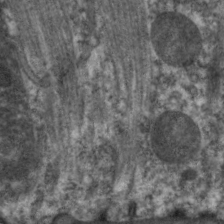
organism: C. elegans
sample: Pharynx